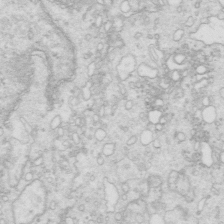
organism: Mouse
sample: Multiciliated cells